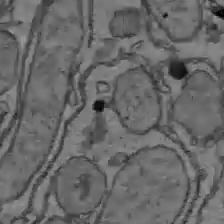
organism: C57BL Mouse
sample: Liver